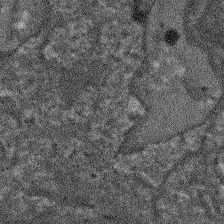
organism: Arabidopsis thaliana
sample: Root tip